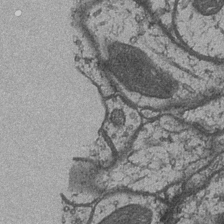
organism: Drosophila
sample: Optic medulla